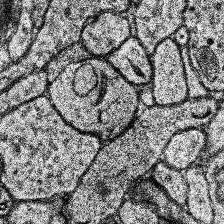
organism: Human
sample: Temporal Lobe